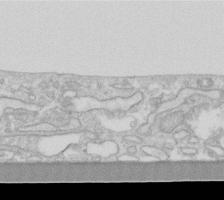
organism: Human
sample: Fibroblast cells